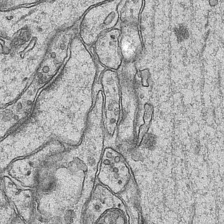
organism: Mouse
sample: CA1 Hippocampus